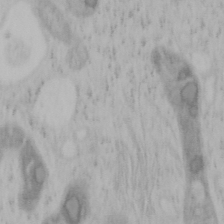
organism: Mouse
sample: OT-I killer T cells with ID8 ovarian cancer cells